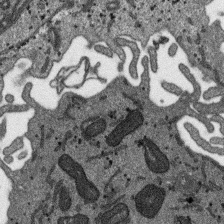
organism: Human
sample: Lung epithelial cells infected with SARS-CoV-2